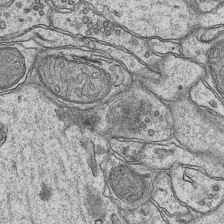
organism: Mouse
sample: CA1 Hippocampus